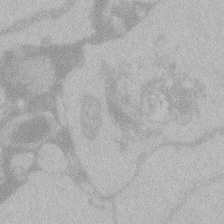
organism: Zebrafish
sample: Macrophage infected with Toxoplasma gondii